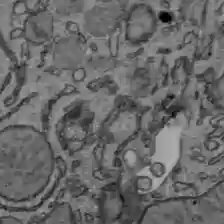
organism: C57BL Mouse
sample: Liver